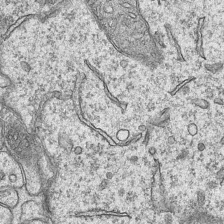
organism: Mouse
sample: CA1 Hippocampus